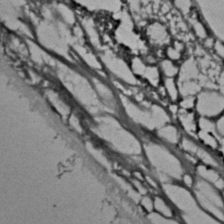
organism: C. elegans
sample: C. elegans embryo